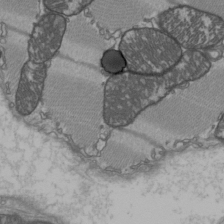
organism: C57BL Mouse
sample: Heart